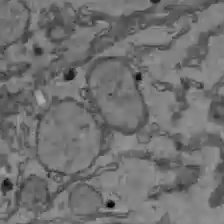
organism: C57BL Mouse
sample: Liver